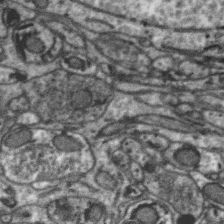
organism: Zebra finch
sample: Brain